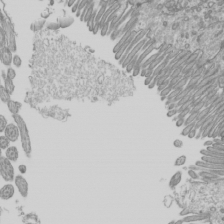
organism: Mouse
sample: Cilia; mouse epididymis